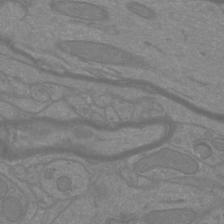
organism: Mouse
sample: Cortical neurons